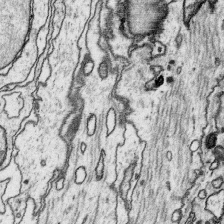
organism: Platynereis dumerilii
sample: Parapodia